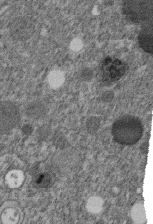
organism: C. elegans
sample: C. elegans embryo early stage